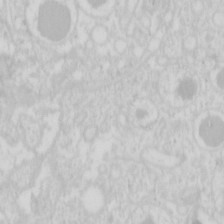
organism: Mouse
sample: Pancreas